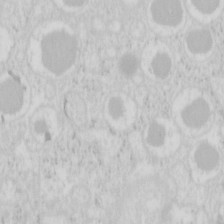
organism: Mouse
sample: Pancreas